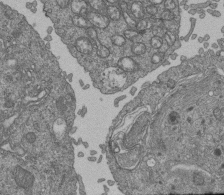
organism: Human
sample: Retinal organoid Rod and Cone cells